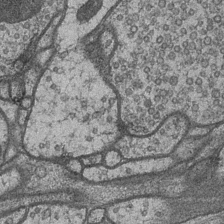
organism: Drosophila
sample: Optic medulla